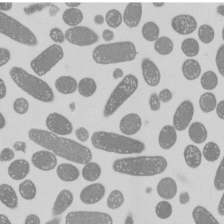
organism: E. coli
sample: Bacterial nucleoid